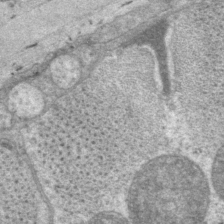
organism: P. pacificus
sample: Pharynx